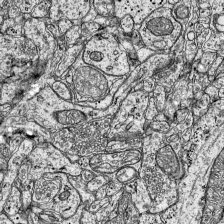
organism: Mouse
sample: Visual Cortex